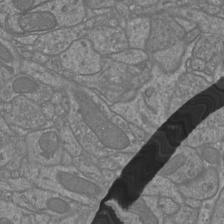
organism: Mouse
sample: Cortical neurons